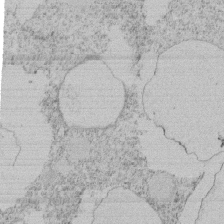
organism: Tetrahymena